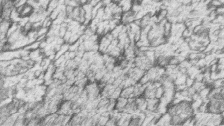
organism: Zebrafish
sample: synaptic ribbons in rod cells and cone cells